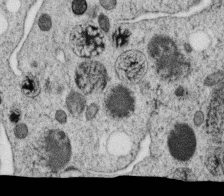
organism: C. elegans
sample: C. elegans oocyte; sperm cells